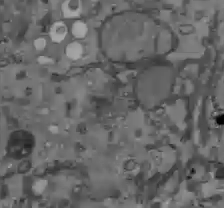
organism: C57BL Mouse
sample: Liver